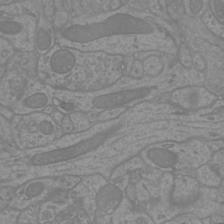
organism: Mouse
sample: Cortical neurons